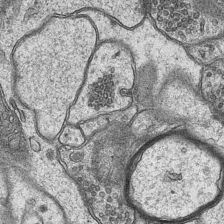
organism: Mouse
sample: CA1 Hippocampus